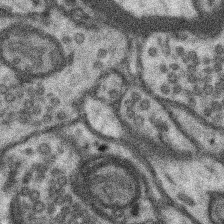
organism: Mouse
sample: Somatosensory cortex neuropil